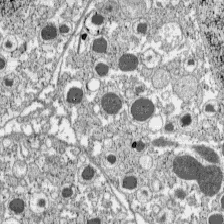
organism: C57BL Mouse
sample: Pancreatic islet